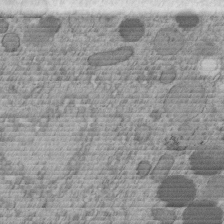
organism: C. elegans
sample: C. elegans embryo early stage